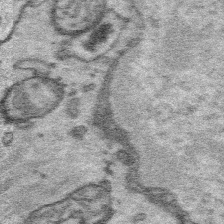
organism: Platynereis dumerilii